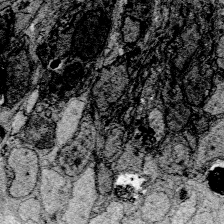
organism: Zebrafish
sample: Whole-Brain